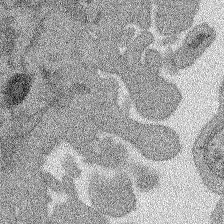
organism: Human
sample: HeLa cells